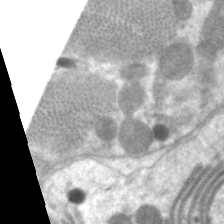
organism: C. elegans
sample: Pharynx